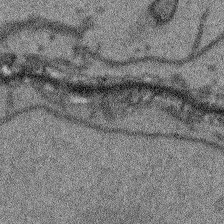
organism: Arabidopsis thaliana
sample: Root tip